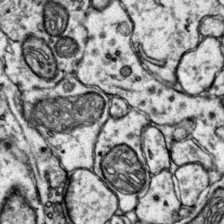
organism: Mouse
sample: Primary visual cortex